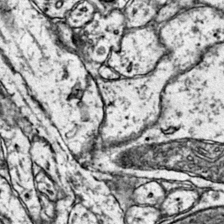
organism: Mouse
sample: Primary visual cortex